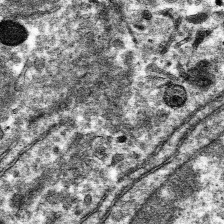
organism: Mouse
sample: Mouse hepatocytes